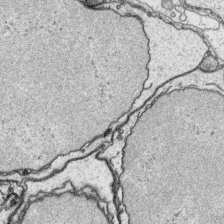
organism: Platynereis dumerilii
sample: Parapodia